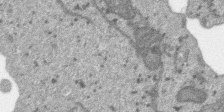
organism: Human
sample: Lung epithelial cells infected with SARS-CoV-2